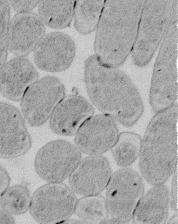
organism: E. coli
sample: Bacterial nucleoid